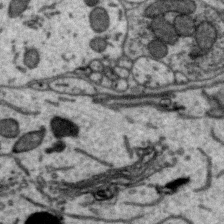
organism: Zebra finch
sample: Brain